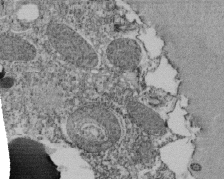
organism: Tetrahymena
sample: Cilia in tetrahymena